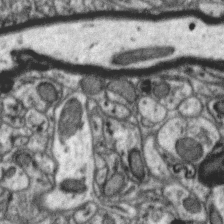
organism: Zebra finch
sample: Brain